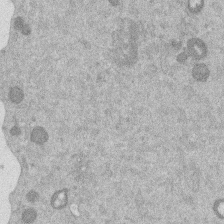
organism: Mouse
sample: Dividing mouse embryo 1 cell stage